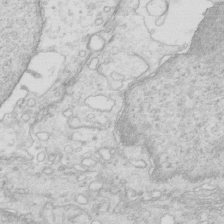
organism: Mouse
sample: Multiciliated cells